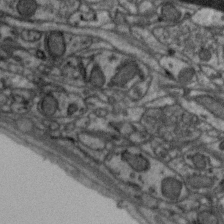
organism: Zebra finch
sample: Brain